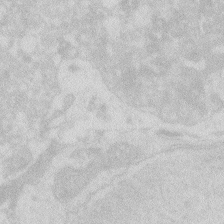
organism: Zebrafish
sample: Macrophage